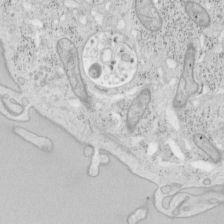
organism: Mouse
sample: OT-I killer T cells with ID8 ovarian cancer cells